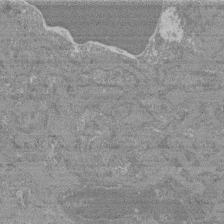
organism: Mouse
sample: Glomerulus